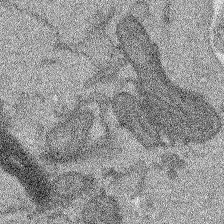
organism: Human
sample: HeLa cells